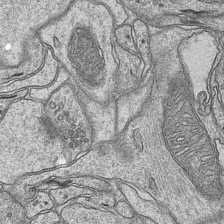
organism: Mouse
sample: CA1 Hippocampus